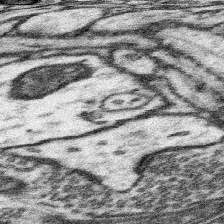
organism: Mouse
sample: Somatosensory cortex neuropil